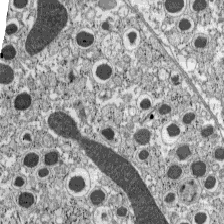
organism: C57BL Mouse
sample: Pancreatic islet